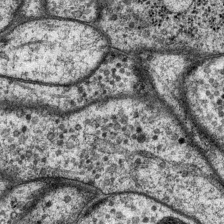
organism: P. pacificus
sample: Pharynx